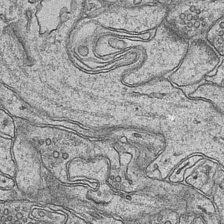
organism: Mouse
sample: CA1 Hippocampus